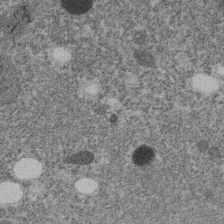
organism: C. elegans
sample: C. elegans embryo early stage